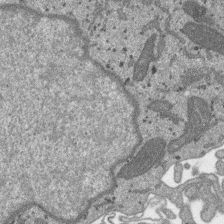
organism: Human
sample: Lung epithelial cells infected with SARS-CoV-2